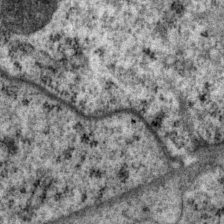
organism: P. pacificus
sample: Pharynx